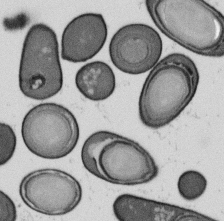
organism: B. subtilis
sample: Bacterial spore